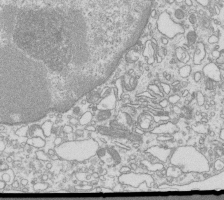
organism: Mouse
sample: Macrophages